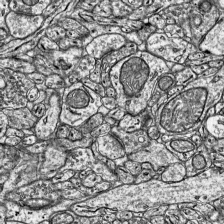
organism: Mouse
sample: Visual Cortex